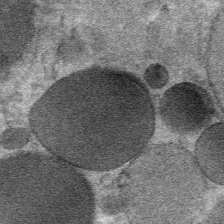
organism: Mouse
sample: Mouse Salivary gland